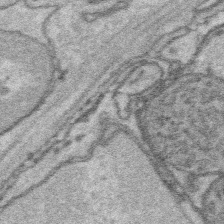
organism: Platynereis dumerilii